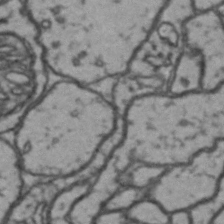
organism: Drosophila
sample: Brain